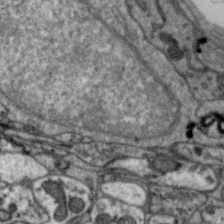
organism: Zebra finch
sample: Brain